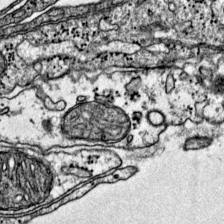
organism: Mouse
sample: Primary visual cortex